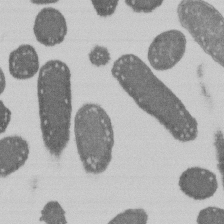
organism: E. coli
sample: Bacterial nucleoid